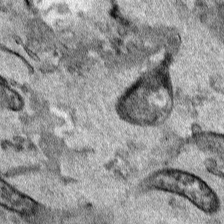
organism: Human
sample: Mitochondria in HCT116 cells